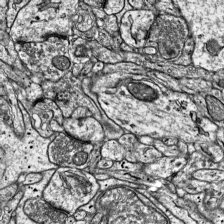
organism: Mouse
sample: Visual Cortex